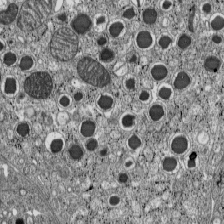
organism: C57BL Mouse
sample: Pancreatic islet